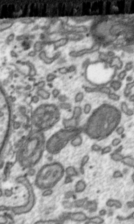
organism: Toxoplasma gondii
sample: Parasites in a vacuole inside a host cell